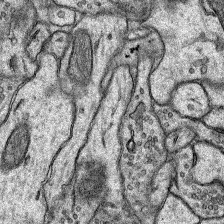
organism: Rat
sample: Hippocampus